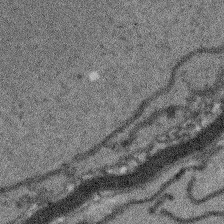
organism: Arabidopsis thaliana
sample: Root tip